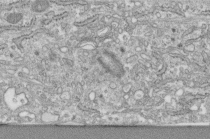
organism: Human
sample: Centriole in fibroblast cells